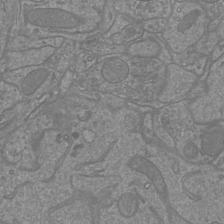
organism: Mouse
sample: Cortical neurons